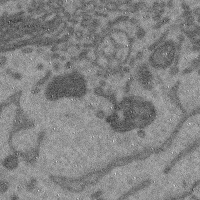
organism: Mouse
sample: Cerebral cortex